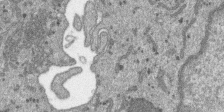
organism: Human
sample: Lung epithelial cells infected with SARS-CoV-2